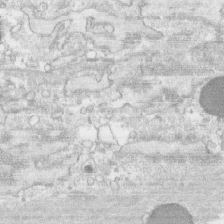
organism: Human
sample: CRL-1474